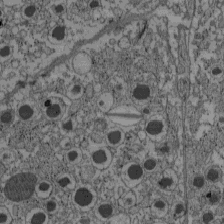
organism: C57BL Mouse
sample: Pancreatic islet